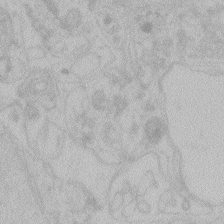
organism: Zebrafish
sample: Macrophage infected with Toxoplasma gondii